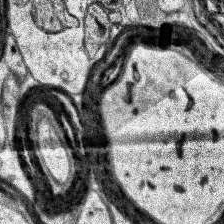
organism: Human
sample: Temporal Lobe